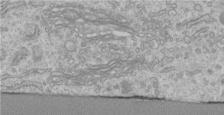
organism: Human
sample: Centriole in RPE cells